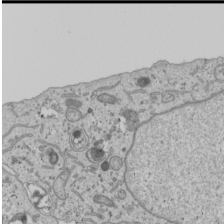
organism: Human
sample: Mitochondria in U2OS cells